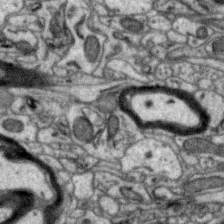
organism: Zebra finch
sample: Brain